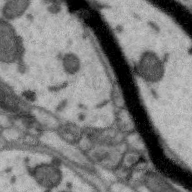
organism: Zebra finch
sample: Brain